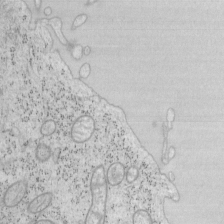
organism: Mouse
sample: OT-I killer T cells with ID8 ovarian cancer cells